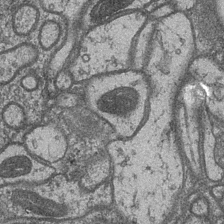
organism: Drosophila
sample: Optic medulla